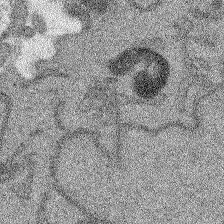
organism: Human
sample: HeLa cells